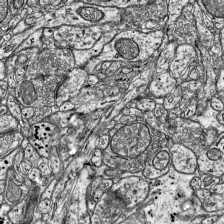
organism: Mouse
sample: Visual Cortex